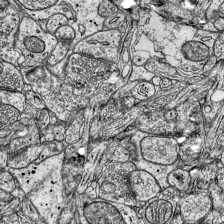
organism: Mouse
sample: Visual Cortex